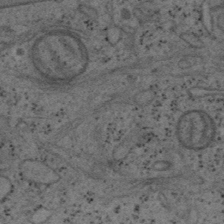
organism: Human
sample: HeLa cells